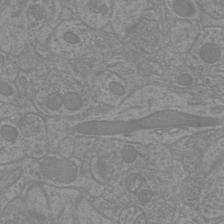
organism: Mouse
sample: Cortical neurons